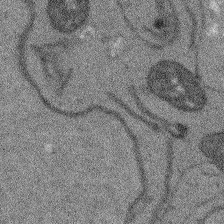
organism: Arabidopsis thaliana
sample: Root tip